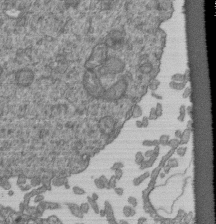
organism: Human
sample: Retinal organoid Rod and Cone cells